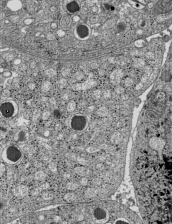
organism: C57BL Mouse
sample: Pancreatic islet